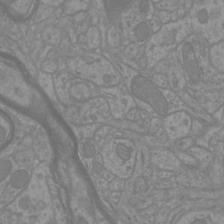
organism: Mouse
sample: Cortical neurons